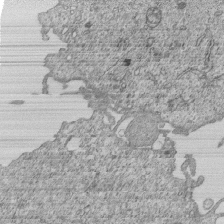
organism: Human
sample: MDA-MB-231 cells